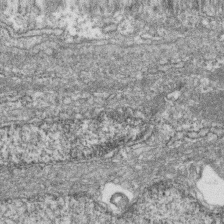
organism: Zebrafish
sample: Cilia; retinal pigment epithelium